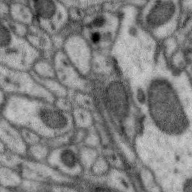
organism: Zebra finch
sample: Brain